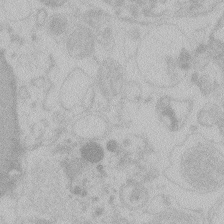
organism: Zebrafish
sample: Macrophage infected with Toxoplasma gondii